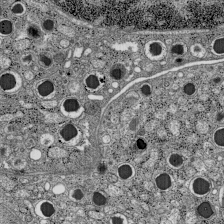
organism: C57BL Mouse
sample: Pancreatic islet